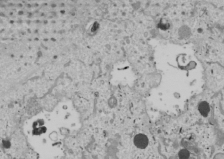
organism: Human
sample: Mitochondria in U2OS cells